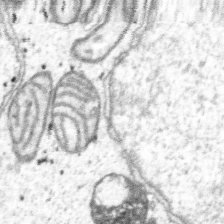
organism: Human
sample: HeLa cells